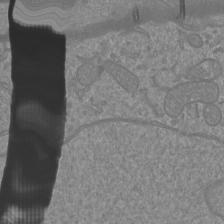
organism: Mouse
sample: Cortical neurons